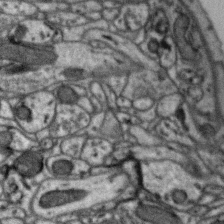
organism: Zebra finch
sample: Brain